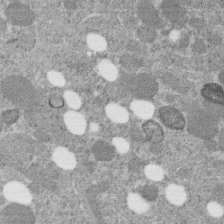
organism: C. elegans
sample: C. elegans embryo early stage